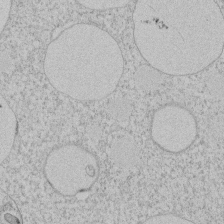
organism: Tetrahymena